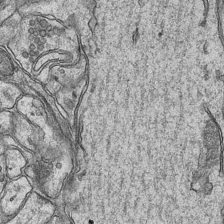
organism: Mouse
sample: CA1 Hippocampus